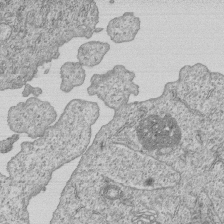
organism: Human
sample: MDA-MB-231 cells